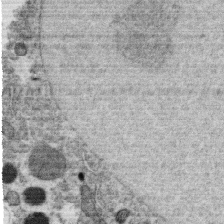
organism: C. elegans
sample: C. elegans oocyte; sperm cells